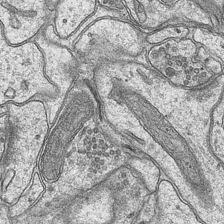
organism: Mouse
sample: CA1 Hippocampus